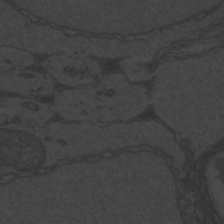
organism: Zebrafish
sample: Macrophage infected with Toxoplasma gondii